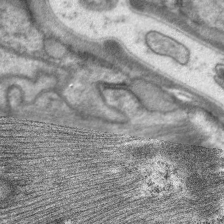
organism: C. elegans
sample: Pharynx